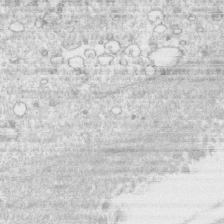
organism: Human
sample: CRL-1474